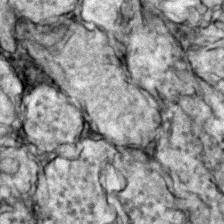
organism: Zebrafish